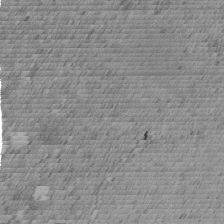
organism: C. elegans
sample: C. elegans embryo early stage